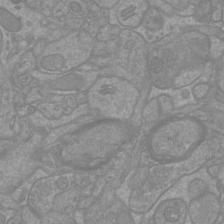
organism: Mouse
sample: Cortical neurons